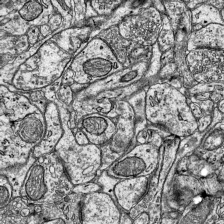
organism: Mouse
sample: Visual Cortex